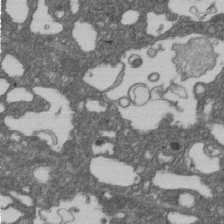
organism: Drosophila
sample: Nephrocyte